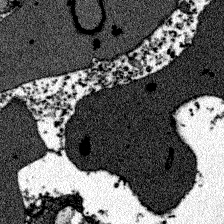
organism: Zebrafish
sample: Larval olfactory bulb